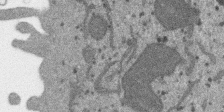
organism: Human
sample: Lung epithelial cells infected with SARS-CoV-2